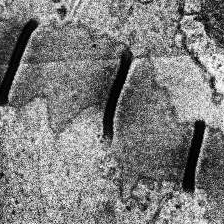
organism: Human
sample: Temporal Lobe